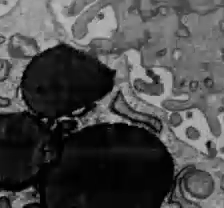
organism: C57BL Mouse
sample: Liver